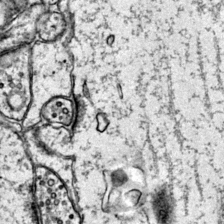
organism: Mouse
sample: Primary visual cortex